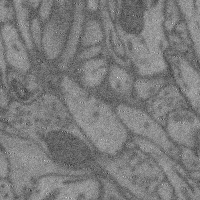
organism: Mouse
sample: Cerebral cortex